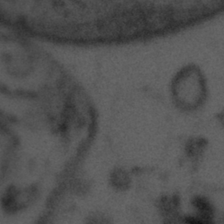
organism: Tuwongella immobilis